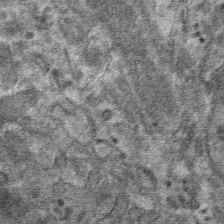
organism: Mouse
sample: Mouse hepatocytes